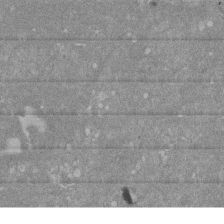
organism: Mouse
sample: ED-1 cell nuclei; centrioles